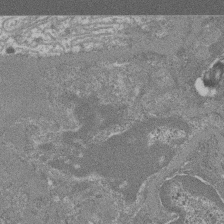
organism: Mouse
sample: Glomerulus